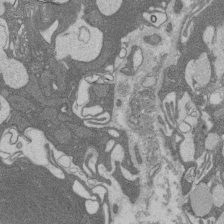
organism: Rat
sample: Salivary granule